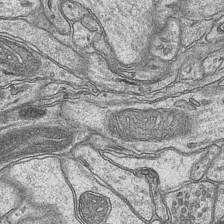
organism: Mouse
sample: CA1 Hippocampus